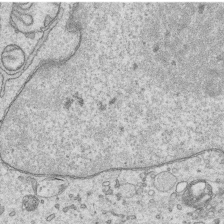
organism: Human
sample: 1205lu cells